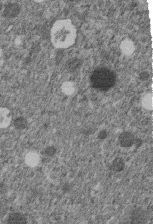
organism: C. elegans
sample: C. elegans embryo early stage